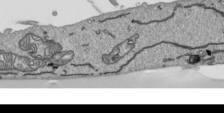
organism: Human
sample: Mitochondria in HCT116 cells